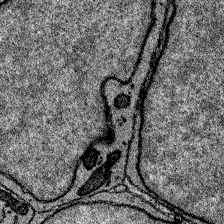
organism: Zebrafish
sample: Larval olfactory bulb